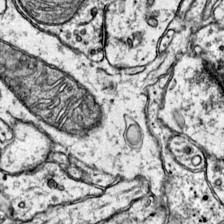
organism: Mouse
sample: Primary visual cortex